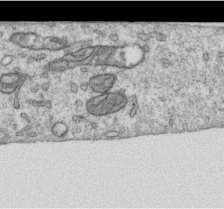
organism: Human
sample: Centriole in RPE cells